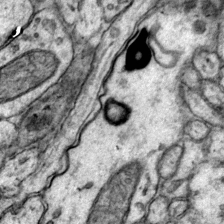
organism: Mouse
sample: Primary visual cortex